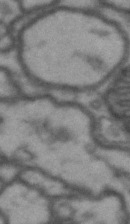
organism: Drosophila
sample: Brain